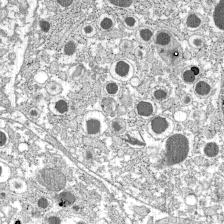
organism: C57BL Mouse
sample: Pancreatic islet